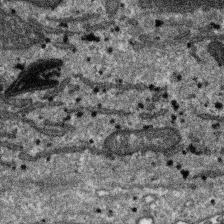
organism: Human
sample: Lung epithelial cells infected with SARS-CoV-2